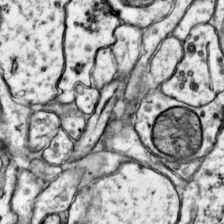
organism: Mouse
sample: Primary visual cortex